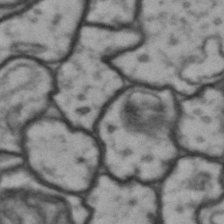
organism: Drosophila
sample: Brain